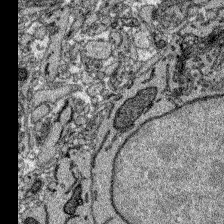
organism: Zebrafish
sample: Larval olfactory bulb